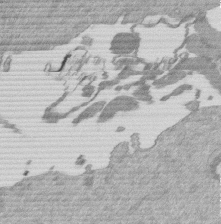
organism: Mouse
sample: Dividing mouse embryo 1 cell stage